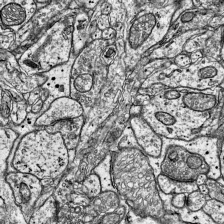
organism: Mouse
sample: Visual Cortex